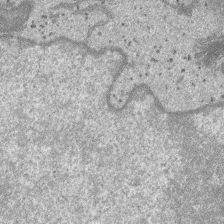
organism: Human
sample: Lung epithelial cells infected with SARS-CoV-2